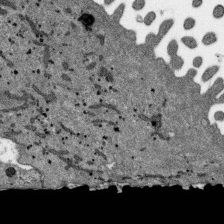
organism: Human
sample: Lung epithelial cells, uninfected (mock) control